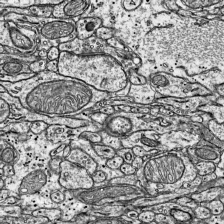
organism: Mouse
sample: Visual Cortex